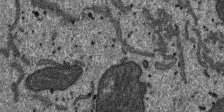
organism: Human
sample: Lung epithelial cells infected with SARS-CoV-2